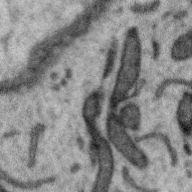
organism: Zebra finch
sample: Brain